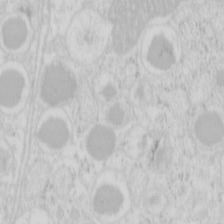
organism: Mouse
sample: Pancreas